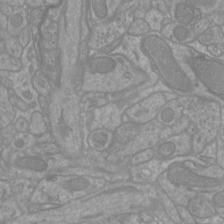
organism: Mouse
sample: Cortical neurons